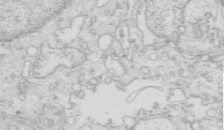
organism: Mouse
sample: Multiciliated cells